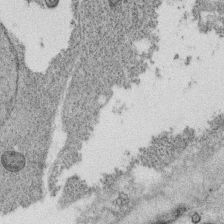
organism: C. elegans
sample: C. elegans oocyte; sperm cells